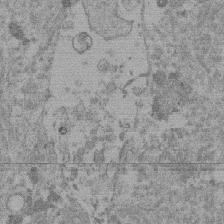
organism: Mouse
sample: Dividing mouse embryo 1 cell stage